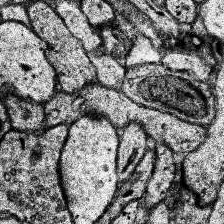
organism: Human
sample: Temporal Lobe